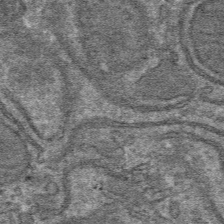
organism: Mouse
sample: Mouse hepatocytes